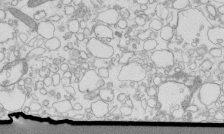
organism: Mouse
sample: Macrophages